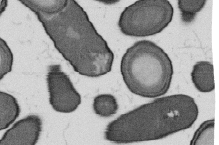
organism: B. subtilis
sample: Bacterial spore